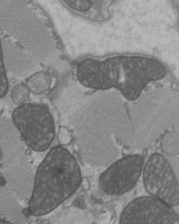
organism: C57BL Mouse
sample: Heart